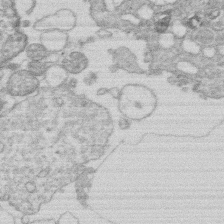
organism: Human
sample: Macrophage cells